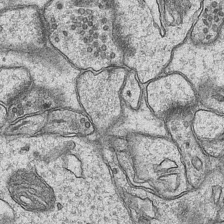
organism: Mouse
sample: CA1 Hippocampus